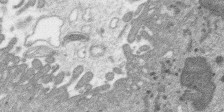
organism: Human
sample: Lung epithelial cells infected with SARS-CoV-2